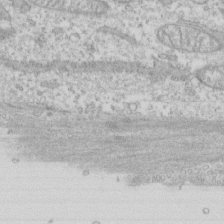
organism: Human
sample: CRL-1474